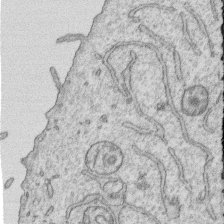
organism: Human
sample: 1205lu cells